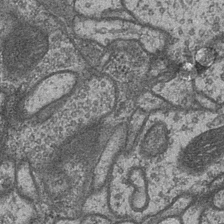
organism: Drosophila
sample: Optic medulla